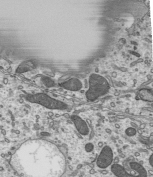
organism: Mouse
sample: Mouse epididymis efferent ductule cilia